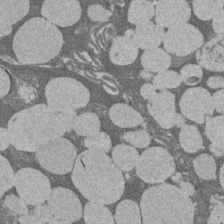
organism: Rat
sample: Salivary granule